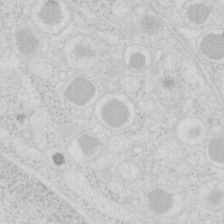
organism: Mouse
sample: Pancreas